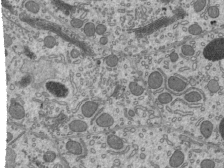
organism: Mouse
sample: Mouse epididymis efferent ductule cilia